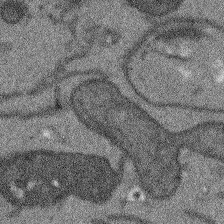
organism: Arabidopsis thaliana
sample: Root tip